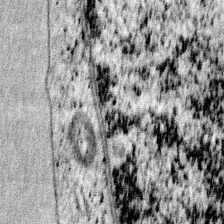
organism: Human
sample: HeLa cells